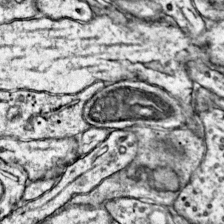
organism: Mouse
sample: Primary visual cortex